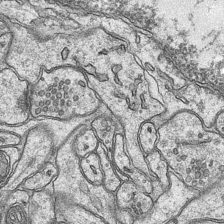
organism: Mouse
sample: CA1 Hippocampus